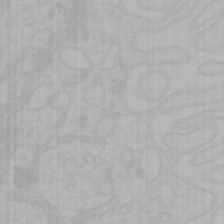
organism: Mouse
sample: Choroid plexus